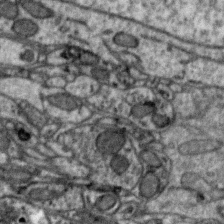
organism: Zebra finch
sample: Brain